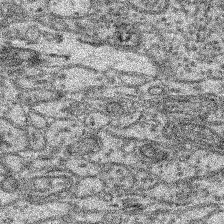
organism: Mouse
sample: Retina